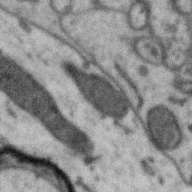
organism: Zebra finch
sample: Brain